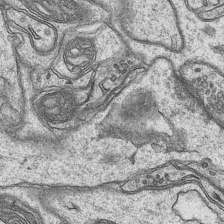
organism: Mouse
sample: CA1 Hippocampus